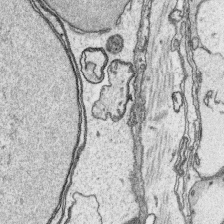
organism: Platynereis dumerilii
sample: Parapodia